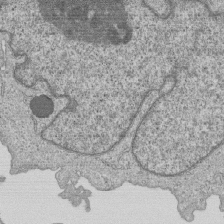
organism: Human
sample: MDA-MB-231 cells